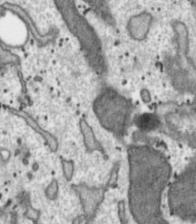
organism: Toxoplasma gondii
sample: Parasites in a vacuole inside a host cell